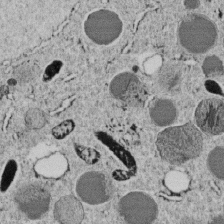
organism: C. elegans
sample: C. elegans embryo early stage